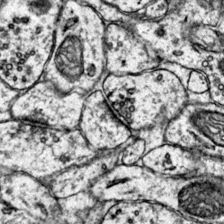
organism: Mouse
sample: Primary visual cortex